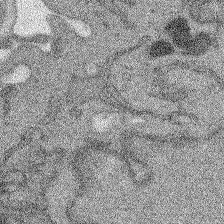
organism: Human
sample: HeLa cells